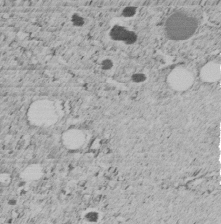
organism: C. elegans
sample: C. elegans embryo early stage